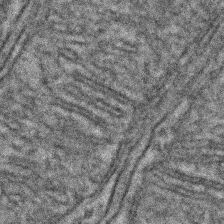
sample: Kidney